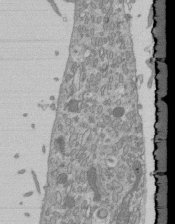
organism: Mouse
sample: ED-1 cell nuclei; centrioles